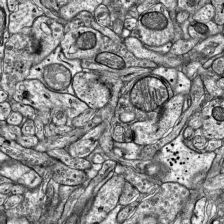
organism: Mouse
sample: Visual Cortex